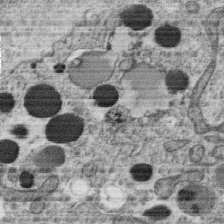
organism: C. elegans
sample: C. elegans oocyte; sperm cells